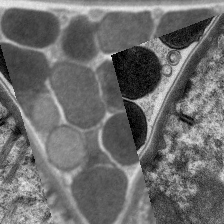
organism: C. elegans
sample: Pharynx